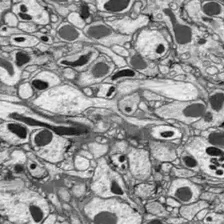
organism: Drosophila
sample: Optic lobe